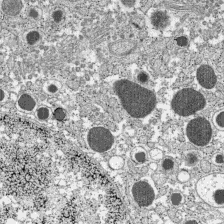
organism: C57BL Mouse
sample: Pancreatic islet